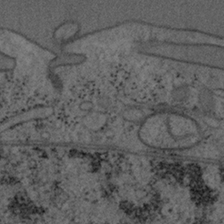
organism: Human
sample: HeLa cells